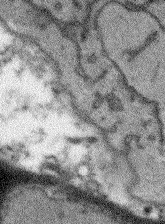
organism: Arabidopsis thaliana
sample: Root tip